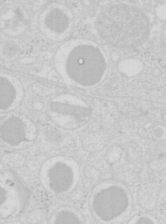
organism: Mouse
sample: Pancreas